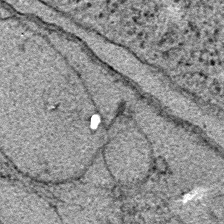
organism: E. coli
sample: E. Coli Bacteria